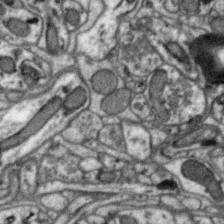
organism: Zebra finch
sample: Brain